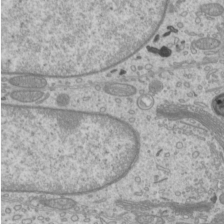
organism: Mouse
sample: Cilia; mouse epididymis